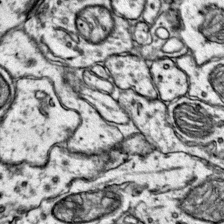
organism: Mouse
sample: Primary visual cortex